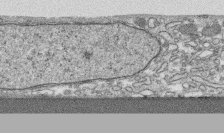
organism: Human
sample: CRL-1474